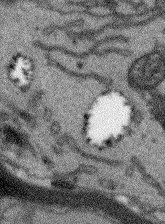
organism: Arabidopsis thaliana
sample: Root tip